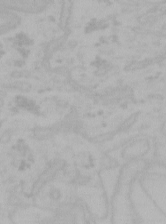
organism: Mouse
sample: Choroid plexus